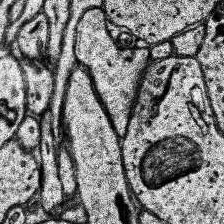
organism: Human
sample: Temporal Lobe